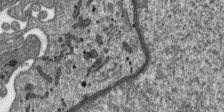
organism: Human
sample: Lung epithelial cells infected with SARS-CoV-2